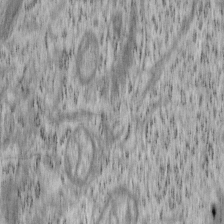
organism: Human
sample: HeLa cells